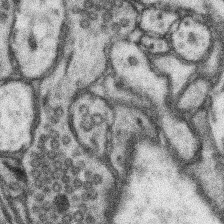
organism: Mouse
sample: Somatosensory cortex neuropil